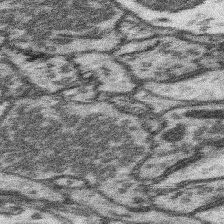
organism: Mouse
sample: Somatosensory cortex neuropil